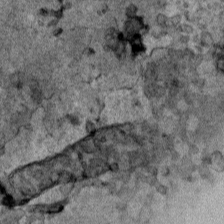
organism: Human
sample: Mitochondria in HCT116 cells